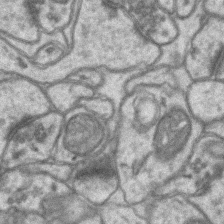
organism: Mouse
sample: CA1 Hippocampus